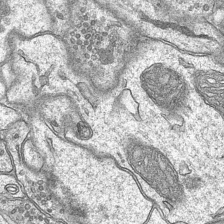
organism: Mouse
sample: CA1 Hippocampus